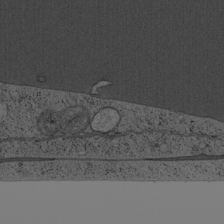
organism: African green monkey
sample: COS-7 cells